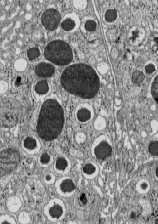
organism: C57BL Mouse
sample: Pancreatic islet